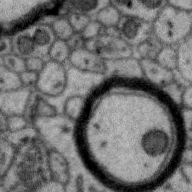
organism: Zebra finch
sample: Brain